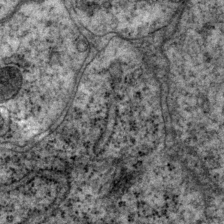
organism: P. pacificus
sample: Pharynx